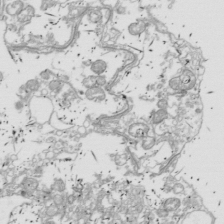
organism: Drosophila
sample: Cell division; meiosis; drosophila spermatocytes